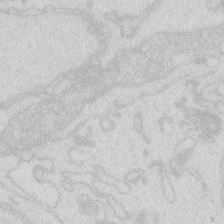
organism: Zebrafish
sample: Macrophage